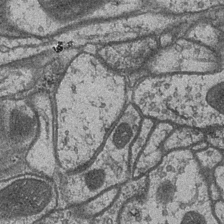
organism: Drosophila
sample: Optic medulla